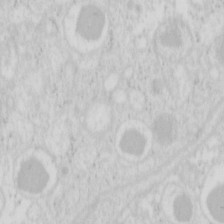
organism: Mouse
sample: Pancreas